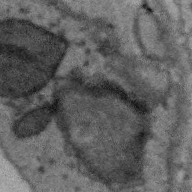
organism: Zebra finch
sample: Brain